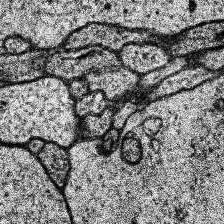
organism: Human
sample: Temporal Lobe